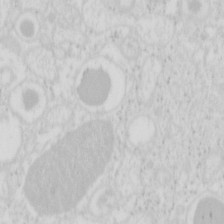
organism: Mouse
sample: Pancreas